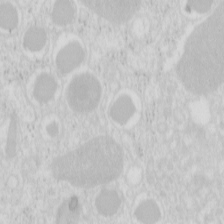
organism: Mouse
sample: Pancreas